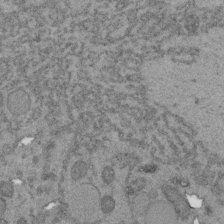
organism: C. elegans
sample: C. elegans embryo early stage